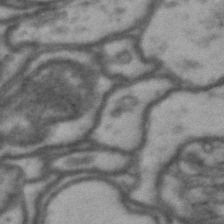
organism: Drosophila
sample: Brain